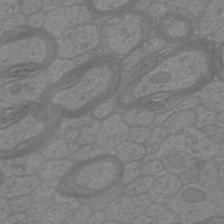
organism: Mouse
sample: Cortical neurons